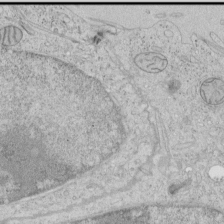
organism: Human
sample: Mitochondria in HCT116 cells